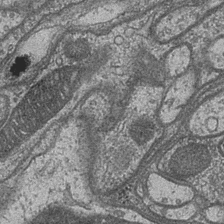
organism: Drosophila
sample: Optic medulla